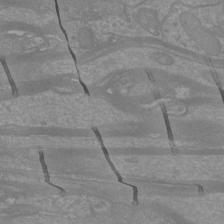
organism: Mouse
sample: Cortical neurons